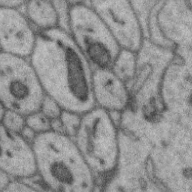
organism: Zebra finch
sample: Brain